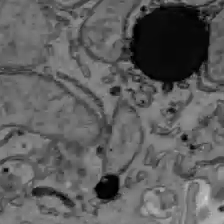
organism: C57BL Mouse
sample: Liver